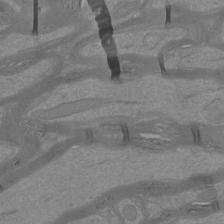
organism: Mouse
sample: Cortical neurons